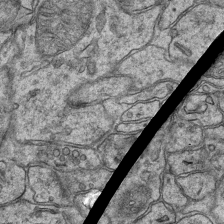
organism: Mouse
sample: CA1 Hippocampus